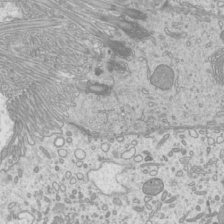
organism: Mouse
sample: Cilia; mouse epididymis